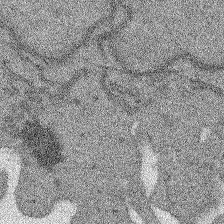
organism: Human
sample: HeLa cells